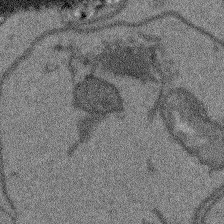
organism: Arabidopsis thaliana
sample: Root tip